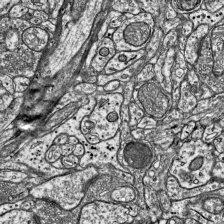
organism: Mouse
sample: Visual Cortex